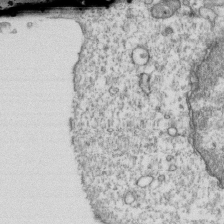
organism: Mouse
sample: Activated OT-1 CD8+ T cells